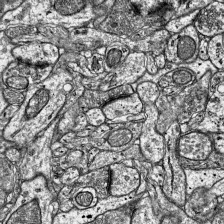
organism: Mouse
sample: Visual Cortex